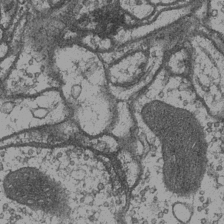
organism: Drosophila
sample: Optic medulla